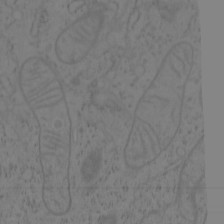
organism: Human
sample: HeLa cells